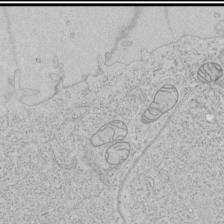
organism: Human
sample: Mitochondria in HCT116 cells